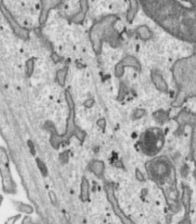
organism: Toxoplasma gondii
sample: Parasites in a vacuole inside a host cell